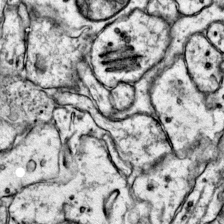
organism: Mouse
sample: Primary visual cortex